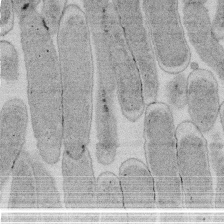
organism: E. coli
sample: Bacterial nucleoid